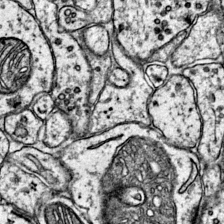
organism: Mouse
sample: Primary visual cortex